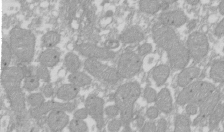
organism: Xenopus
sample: Cilia; centrioles in frog embryo cells